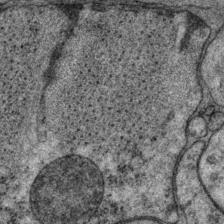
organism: P. pacificus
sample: Pharynx